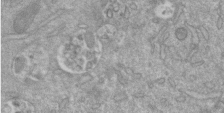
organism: Mouse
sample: ED-1 cell nuclei; centrioles